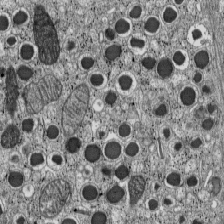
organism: C57BL Mouse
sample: Pancreatic islet